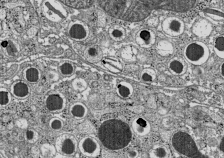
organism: C57BL Mouse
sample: Pancreatic islet